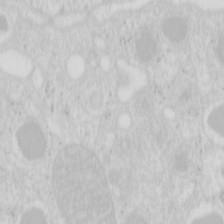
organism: Mouse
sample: Pancreas